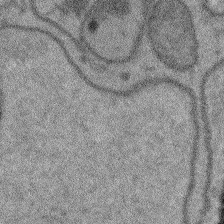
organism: Arabidopsis thaliana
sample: Root tip